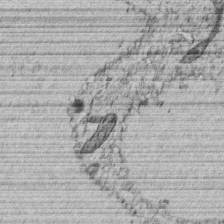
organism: C. elegans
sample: C. elegans embryo early stage